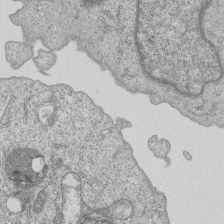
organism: Human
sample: MDA-MB-231 cells